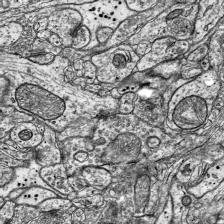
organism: Mouse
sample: Visual Cortex